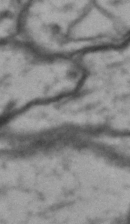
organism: Drosophila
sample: Brain